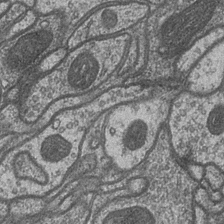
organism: Drosophila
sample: Optic medulla